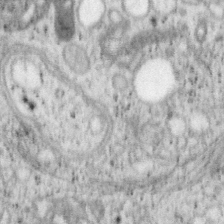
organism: Mouse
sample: OT-I killer T cells with ID8 ovarian cancer cells